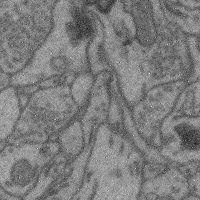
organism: Mouse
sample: Cerebral cortex